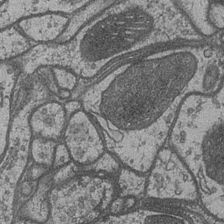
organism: Drosophila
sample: Optic medulla